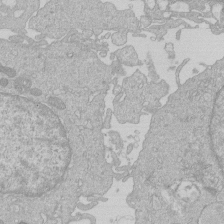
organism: Human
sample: Macrophage cells